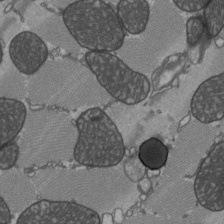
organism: C57BL Mouse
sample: Heart